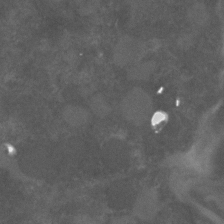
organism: C. elegans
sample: C. elegans embryo